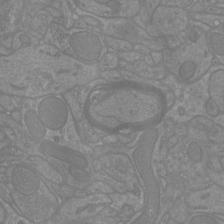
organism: Mouse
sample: Cortical neurons